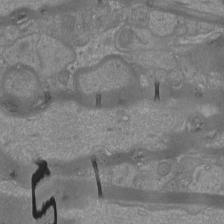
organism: Mouse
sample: Cortical neurons